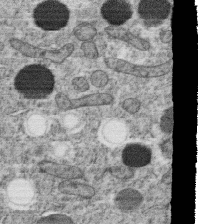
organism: C. elegans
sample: C. elegans oocyte; sperm cells